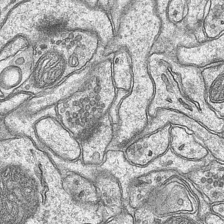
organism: Mouse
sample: CA1 Hippocampus